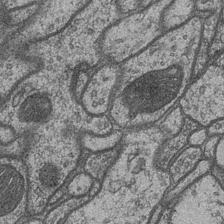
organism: Drosophila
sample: Optic medulla